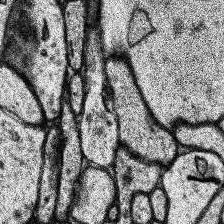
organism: Human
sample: Temporal Lobe